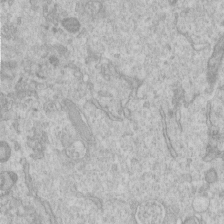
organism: Human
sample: Centriole in RPE cells